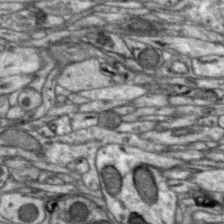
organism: Zebra finch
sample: Brain